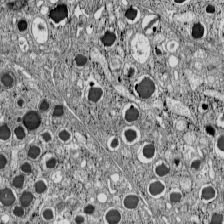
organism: C57BL Mouse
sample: Pancreatic islet